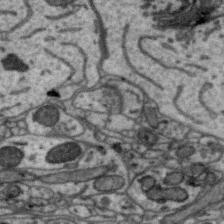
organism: Zebra finch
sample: Brain